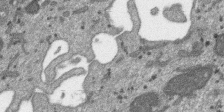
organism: Human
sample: Lung epithelial cells infected with SARS-CoV-2